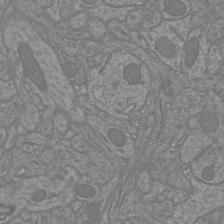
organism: Mouse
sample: Cortical neurons